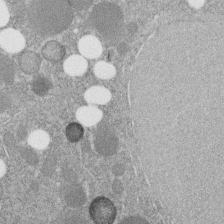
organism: C. elegans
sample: C. elegans embryo early stage